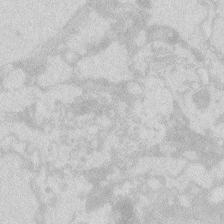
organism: Zebrafish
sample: Macrophage